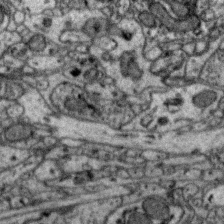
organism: Zebra finch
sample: Brain